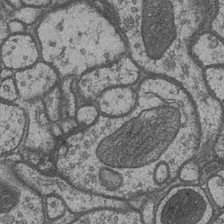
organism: Drosophila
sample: Optic medulla